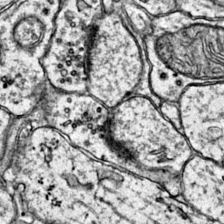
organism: Mouse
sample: Primary visual cortex